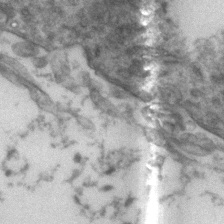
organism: Zebrafish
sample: Zebrafish embryo